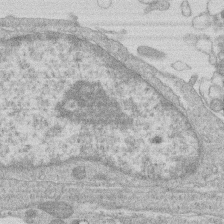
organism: Human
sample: Macrophage cells